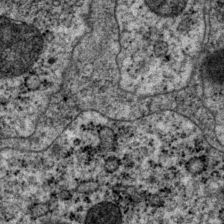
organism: P. pacificus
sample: Pharynx